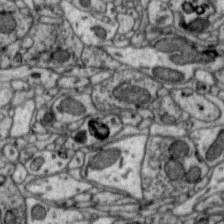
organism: Zebra finch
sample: Brain